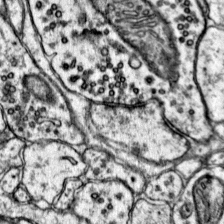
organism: Mouse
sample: Primary visual cortex